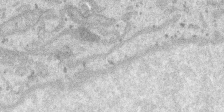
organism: Human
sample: Lung epithelial cells infected with SARS-CoV-2